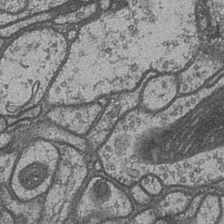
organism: Drosophila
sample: Optic medulla